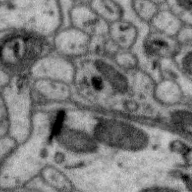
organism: Zebra finch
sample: Brain